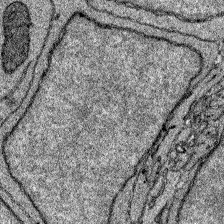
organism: Zebrafish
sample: Larval olfactory bulb